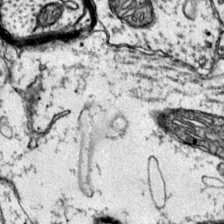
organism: Mouse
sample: Primary visual cortex